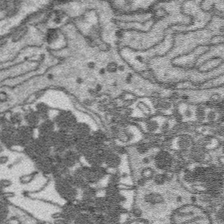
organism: Platynereis dumerilii